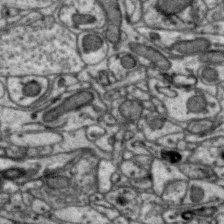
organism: Zebra finch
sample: Brain